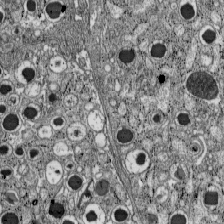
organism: C57BL Mouse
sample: Pancreatic islet